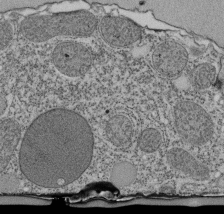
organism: Tetrahymena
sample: Cilia in tetrahymena